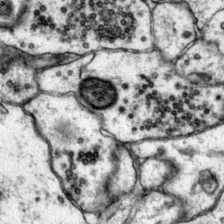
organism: Mouse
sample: Primary visual cortex